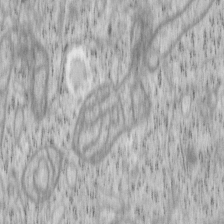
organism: Human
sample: HeLa cells